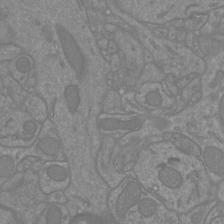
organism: Mouse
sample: Cortical neurons